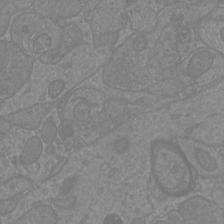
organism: Mouse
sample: Cortical neurons